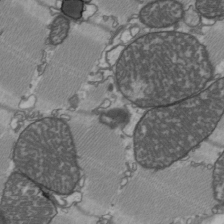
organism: C57BL Mouse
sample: Heart